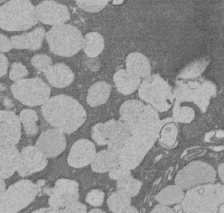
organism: Rat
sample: Salivary granule